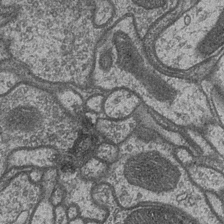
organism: Drosophila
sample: Optic medulla